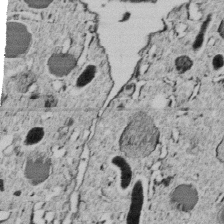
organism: C. elegans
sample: C. elegans embryo early stage